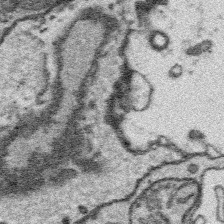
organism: Platynereis dumerilii